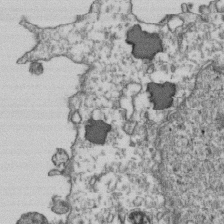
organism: Human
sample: Activated Jurkat CD4+ T cells